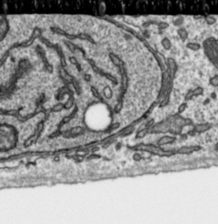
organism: Toxoplasma gondii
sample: Parasites in a vacuole inside a host cell